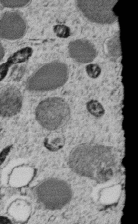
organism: C. elegans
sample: C. elegans embryo early stage